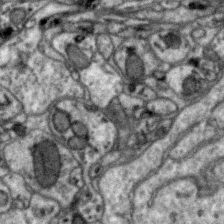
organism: Zebra finch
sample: Brain